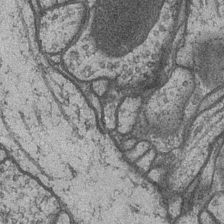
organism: Drosophila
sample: Optic medulla